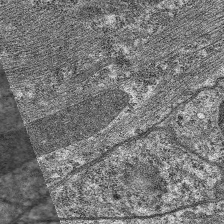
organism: C. elegans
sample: Pharynx